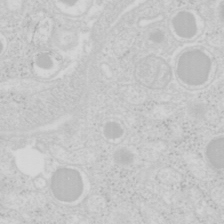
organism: Mouse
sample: Pancreas